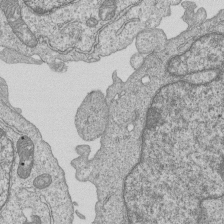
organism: Human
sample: MDA-MB-231 cells